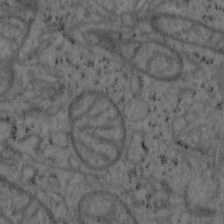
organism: Human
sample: HeLa cells